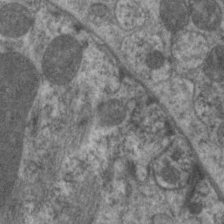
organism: C. elegans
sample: Pharynx